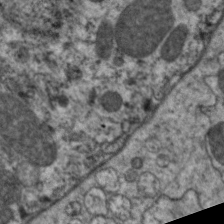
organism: C. elegans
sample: Pharynx